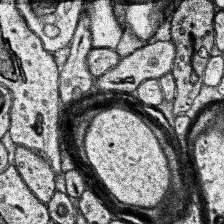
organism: Human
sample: Temporal Lobe